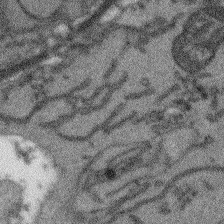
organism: Arabidopsis thaliana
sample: Root tip